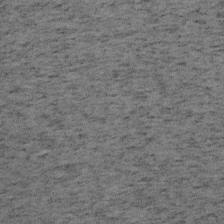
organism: Mouse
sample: OT-I killer T cells with ID8 ovarian cancer cells